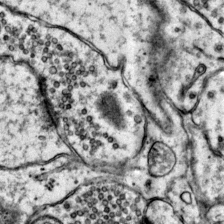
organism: Mouse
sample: Primary visual cortex